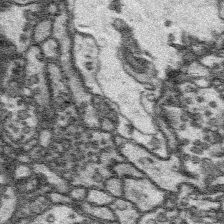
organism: Platynereis dumerilii